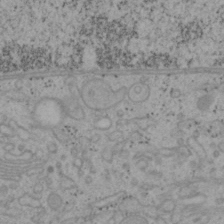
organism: Human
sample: HeLa cells